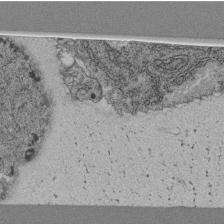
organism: C. elegans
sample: C. elegans pharynx